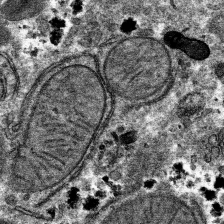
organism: Mouse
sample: Mouse hepatocytes